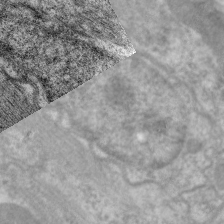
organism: C. elegans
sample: Pharynx